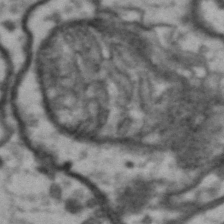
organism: Drosophila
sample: Brain